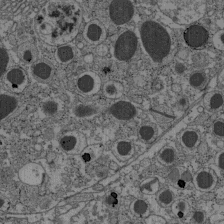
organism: C57BL Mouse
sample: Pancreatic islet